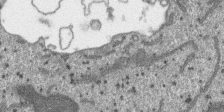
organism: Human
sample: Lung epithelial cells infected with SARS-CoV-2